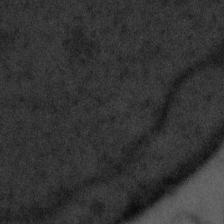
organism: Tuwongella immobilis